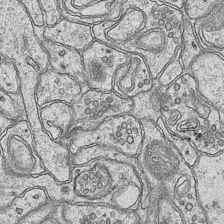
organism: Mouse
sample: CA1 Hippocampus